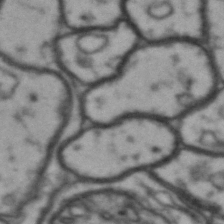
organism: Drosophila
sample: Brain